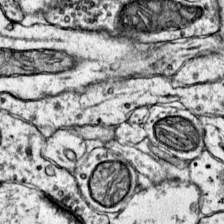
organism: Mouse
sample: Primary visual cortex